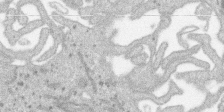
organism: Human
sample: Lung epithelial cells infected with SARS-CoV-2